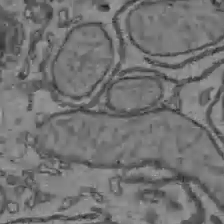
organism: C57BL Mouse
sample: Liver